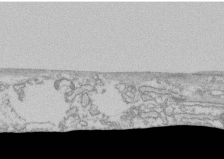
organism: Human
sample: CRL-1474